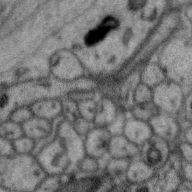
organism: Zebra finch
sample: Brain